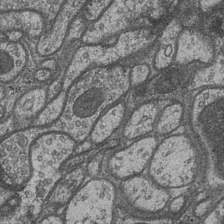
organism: Drosophila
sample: Optic medulla